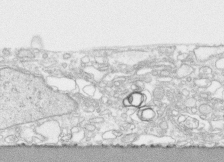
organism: Human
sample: CRL-1474